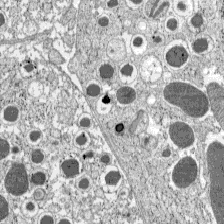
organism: C57BL Mouse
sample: Pancreatic islet